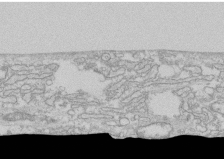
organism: Human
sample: CRL-1474